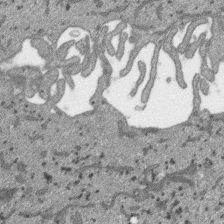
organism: Human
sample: Lung epithelial cells infected with SARS-CoV-2